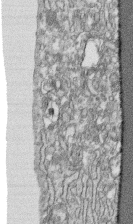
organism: Human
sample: CRL-1474